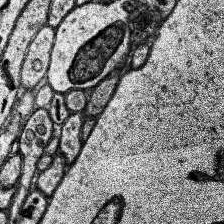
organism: Human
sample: Temporal Lobe